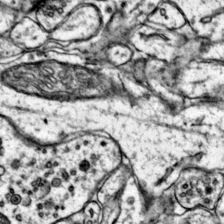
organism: Mouse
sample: Primary visual cortex